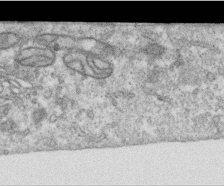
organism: Human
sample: Centriole in RPE cells